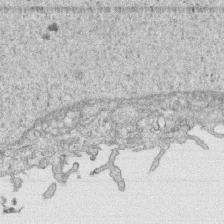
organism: Human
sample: HeLa cell HIV synapse